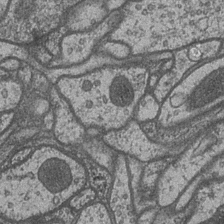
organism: Drosophila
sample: Optic medulla